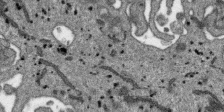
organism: Human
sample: Lung epithelial cells, uninfected (mock) control